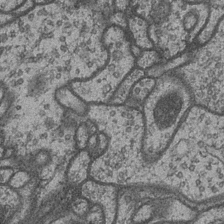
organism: Drosophila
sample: Optic medulla